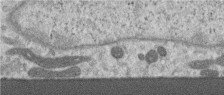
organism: Human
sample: Centriole in RPE cells